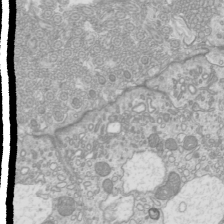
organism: Mouse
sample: Cilia; mouse epididymis